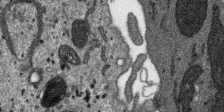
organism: Human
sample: Lung epithelial cells infected with SARS-CoV-2